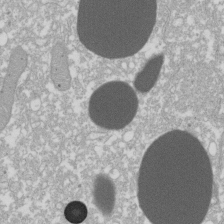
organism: Xenopus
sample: Cilia; centrioles in frog embryo cells